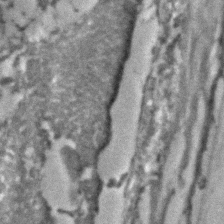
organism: C. elegans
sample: C. elegans embryo